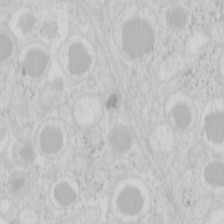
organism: Mouse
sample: Pancreas